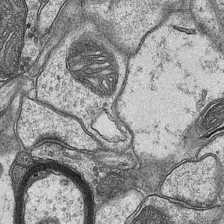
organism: Mouse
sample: CA1 Hippocampus